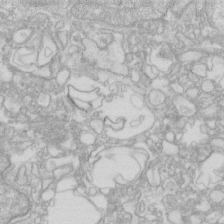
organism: Human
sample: Fibroblast cells